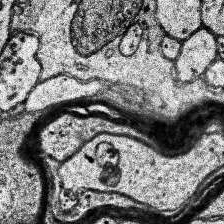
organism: Human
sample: Temporal Lobe